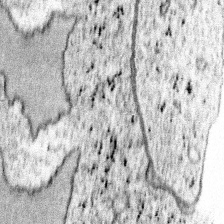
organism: Human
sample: HeLa cells